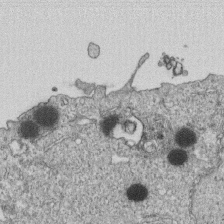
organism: Human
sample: HeLa cell HIV synapse